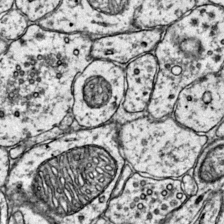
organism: Mouse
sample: Primary visual cortex